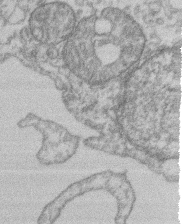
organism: Mouse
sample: T cell stromal cell synapse